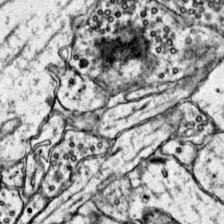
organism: Mouse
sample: Primary visual cortex